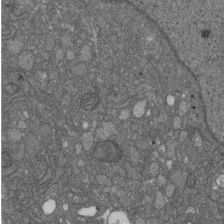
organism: Drosophila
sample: Nephrocyte